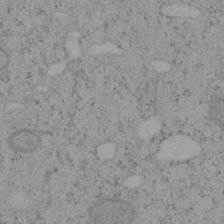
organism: Mouse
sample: OT-I killer T cells with ID8 ovarian cancer cells